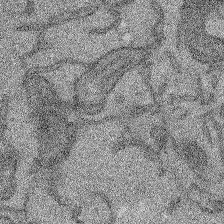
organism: Human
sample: HeLa cells